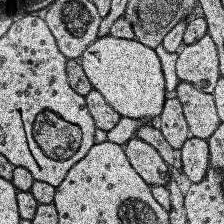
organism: Human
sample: Temporal Lobe